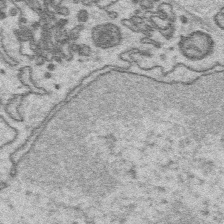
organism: Platynereis dumerilii